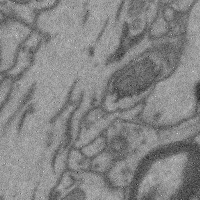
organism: Mouse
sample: Cerebral cortex